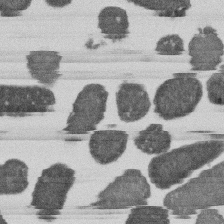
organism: E. coli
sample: Bacterial nucleoid